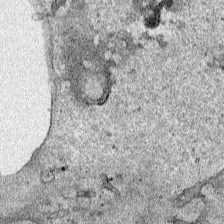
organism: Human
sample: Mitochondria in HCT116 cells